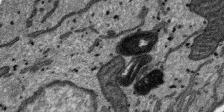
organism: Human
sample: Lung epithelial cells, uninfected (mock) control